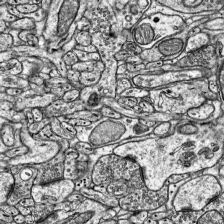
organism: Mouse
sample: Visual Cortex